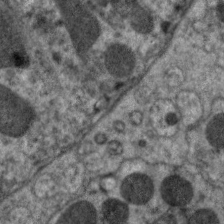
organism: C. elegans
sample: Pharynx